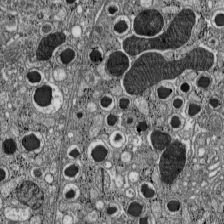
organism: C57BL Mouse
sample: Pancreatic islet